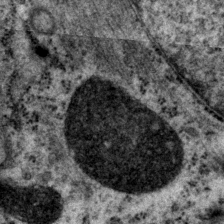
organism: P. pacificus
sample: Pharynx